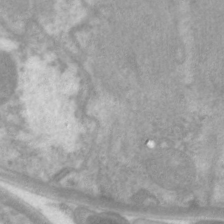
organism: C. elegans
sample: Pharynx